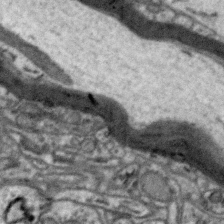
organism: Zebra finch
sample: Brain